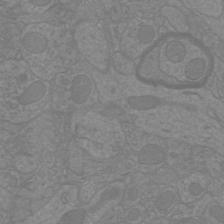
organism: Mouse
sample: Cortical neurons